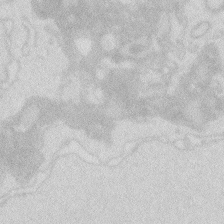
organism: Zebrafish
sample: Macrophage